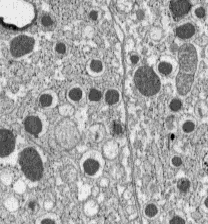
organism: C57BL Mouse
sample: Pancreatic islet